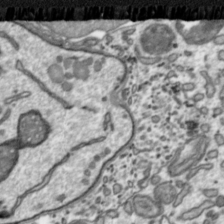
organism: Toxoplasma gondii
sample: Parasites in a vacuole inside a host cell